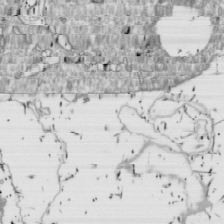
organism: Drosophila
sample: Cell division; meiosis; drosophila spermatocytes